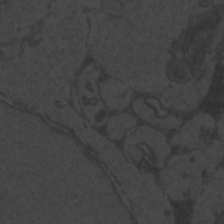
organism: Zebrafish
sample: Macrophage infected with Toxoplasma gondii